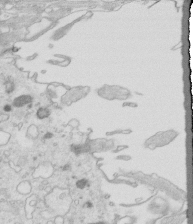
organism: Mouse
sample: Multiciliated cells